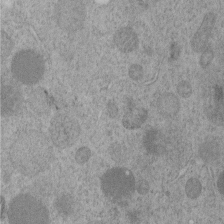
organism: C. elegans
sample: C. elegans embryo early stage